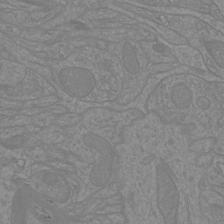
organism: Mouse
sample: Cortical neurons